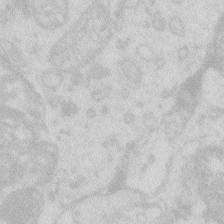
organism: Zebrafish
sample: Macrophage